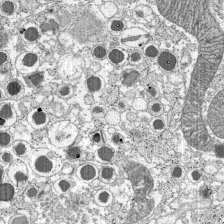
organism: C57BL Mouse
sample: Pancreatic islet